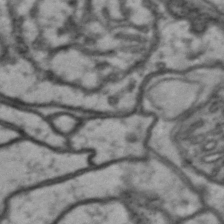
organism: Drosophila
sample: Brain